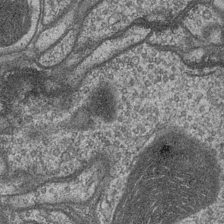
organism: Drosophila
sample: Optic medulla